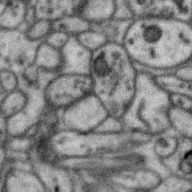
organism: Zebra finch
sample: Brain